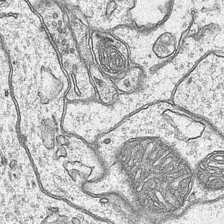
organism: Mouse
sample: CA1 Hippocampus